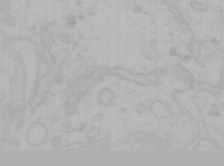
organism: Mouse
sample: Choroid plexus